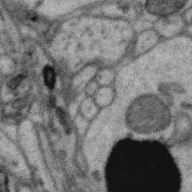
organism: Zebra finch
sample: Brain